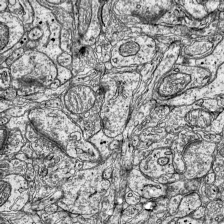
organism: Mouse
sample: Visual Cortex